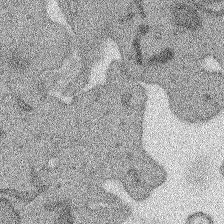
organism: Human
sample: HeLa cells